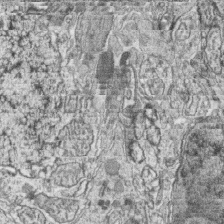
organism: Zebrafish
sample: synaptic ribbons in rod cells and cone cells